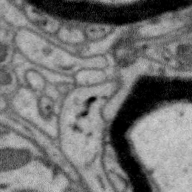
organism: Zebra finch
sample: Brain